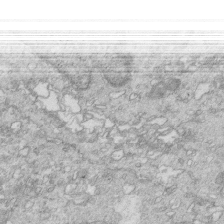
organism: Mouse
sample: Multiciliated cells